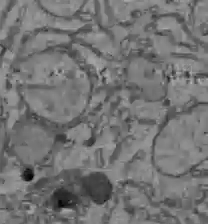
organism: C57BL Mouse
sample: Liver